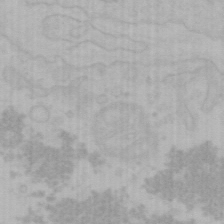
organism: Mouse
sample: Choroid plexus